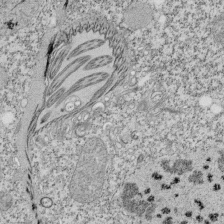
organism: Tetrahymena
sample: Cilia in tetrahymena